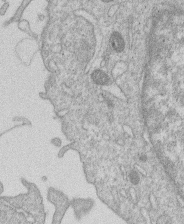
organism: Human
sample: Macrophage cells